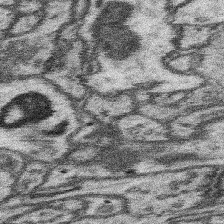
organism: Mouse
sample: Somatosensory cortex neuropil